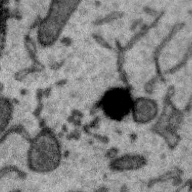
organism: Zebra finch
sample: Brain